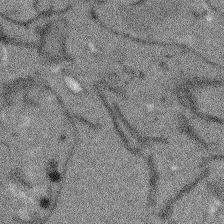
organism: Arabidopsis thaliana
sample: Root tip